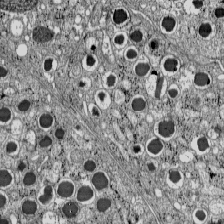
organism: C57BL Mouse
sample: Pancreatic islet